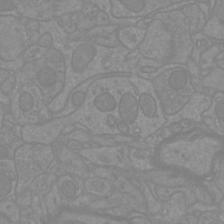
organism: Mouse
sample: Cortical neurons